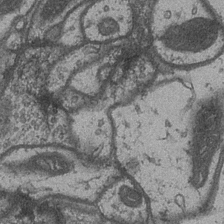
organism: Drosophila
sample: Optic medulla